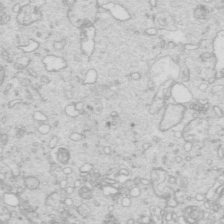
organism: Mouse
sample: Multiciliated cells